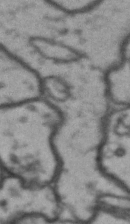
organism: Drosophila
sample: Brain